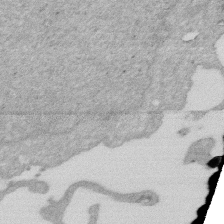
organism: Human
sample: HIV infected U937 cells